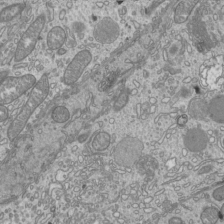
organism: Mouse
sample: Cilia; mouse epididymis